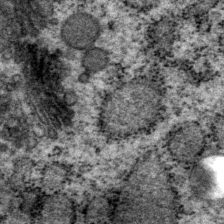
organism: P. pacificus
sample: Pharynx